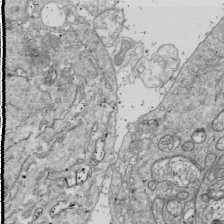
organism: Drosophila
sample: Cell division; meiosis; drosophila spermatocytes